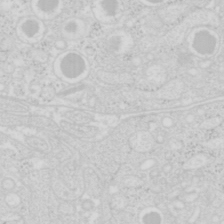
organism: Mouse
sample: Pancreas